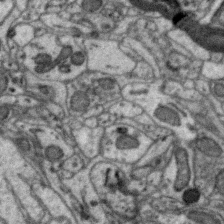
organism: Zebra finch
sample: Brain